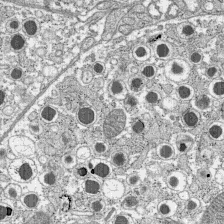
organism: C57BL Mouse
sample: Pancreatic islet